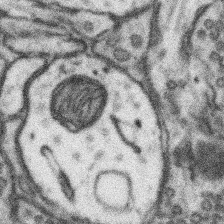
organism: Mouse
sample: Somatosensory cortex neuropil